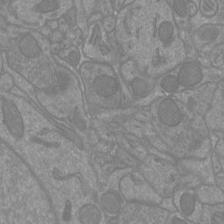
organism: Mouse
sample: Cortical neurons